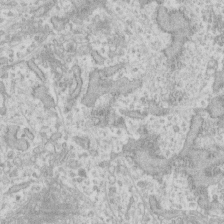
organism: Human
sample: Fibroblast cells